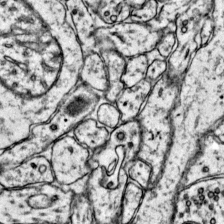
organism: Mouse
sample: Primary visual cortex